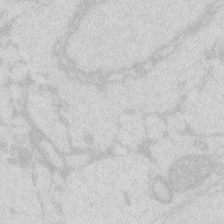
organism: Zebrafish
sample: Macrophage